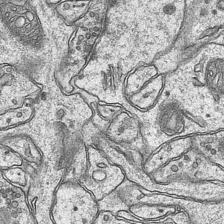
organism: Mouse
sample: CA1 Hippocampus